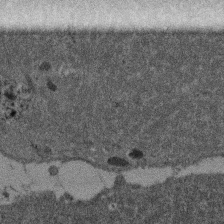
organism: Mouse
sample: Dividing mouse embryo 1 cell stage